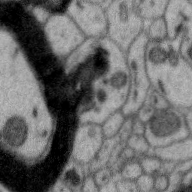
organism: Zebra finch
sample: Brain